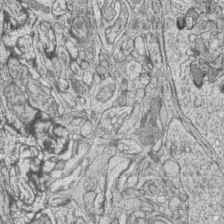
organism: Zebrafish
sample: synaptic ribbons in rod cells and cone cells